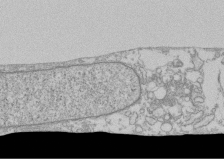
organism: Human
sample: CRL-1474